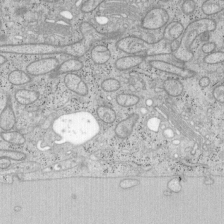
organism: Mouse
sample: OT-I killer T cells with ID8 ovarian cancer cells